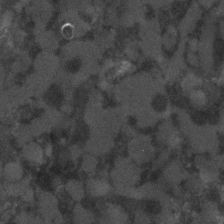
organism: C. elegans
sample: C. elegans embryo